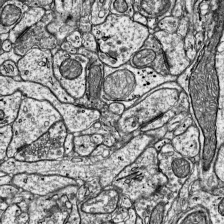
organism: Mouse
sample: Visual Cortex